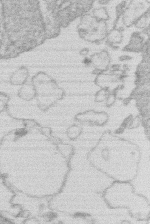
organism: Human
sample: Macrophage cells